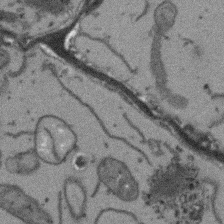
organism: Arabidopsis thaliana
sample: Root tip